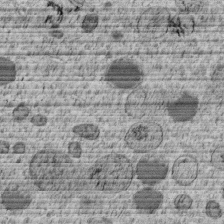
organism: C. elegans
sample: C. elegans embryo early stage